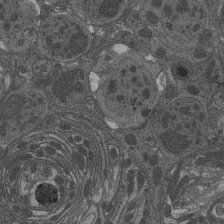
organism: Drosophila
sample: Antenna